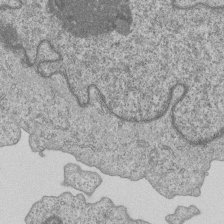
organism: Human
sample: MDA-MB-231 cells